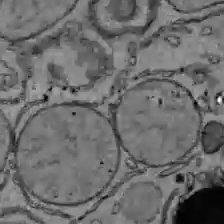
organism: C57BL Mouse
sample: Liver